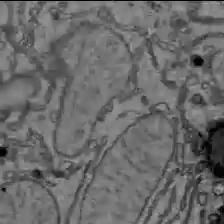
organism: C57BL Mouse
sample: Liver